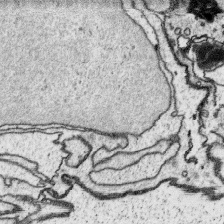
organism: Platynereis dumerilii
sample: Parapodia